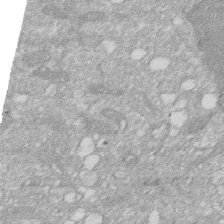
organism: Human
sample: HIV infected U937 cells